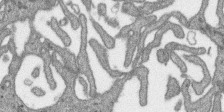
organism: Human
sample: Lung epithelial cells infected with SARS-CoV-2